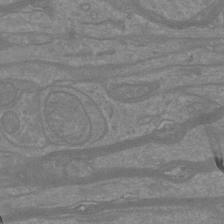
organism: Mouse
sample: Cortical neurons